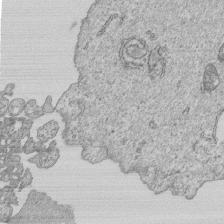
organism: Human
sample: MDA-MB-231 cells